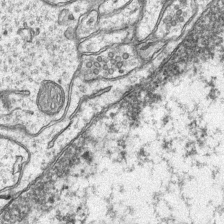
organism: Mouse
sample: CA1 Hippocampus